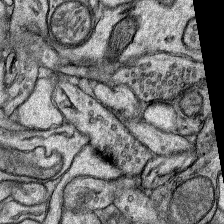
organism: Rat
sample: Hippocampus